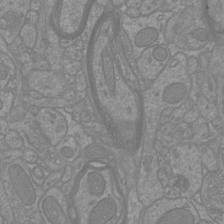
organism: Mouse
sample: Cortical neurons